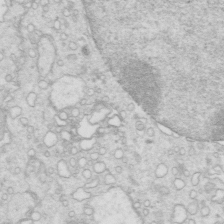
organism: Mouse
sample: Multiciliated cells